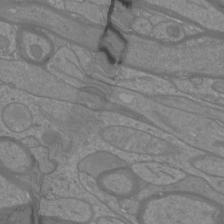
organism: Mouse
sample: Cortical neurons